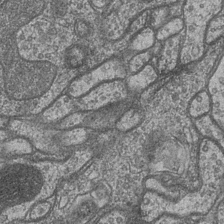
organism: Drosophila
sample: Optic medulla